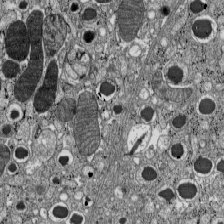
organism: C57BL Mouse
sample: Pancreatic islet